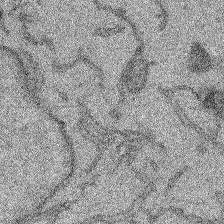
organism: Human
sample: HeLa cells